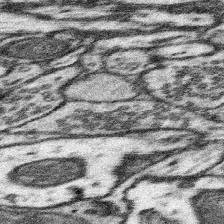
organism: Mouse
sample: Somatosensory cortex neuropil